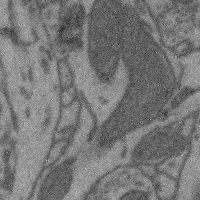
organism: Mouse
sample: Cerebral cortex